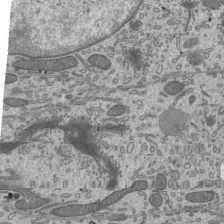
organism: Mouse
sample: Mouse epididymis efferent ductule cilia